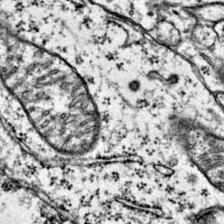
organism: Mouse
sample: Primary visual cortex